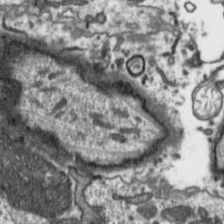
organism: Toxoplasma gondii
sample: Parasites in a vacuole inside a host cell